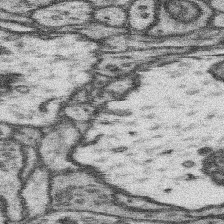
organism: Mouse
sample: Somatosensory cortex neuropil